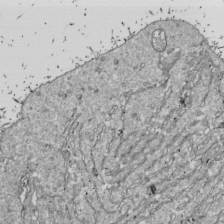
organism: Drosophila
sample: Cell division; meiosis; drosophila spermatocytes